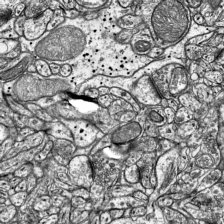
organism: Mouse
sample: Visual Cortex